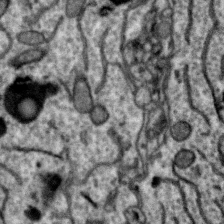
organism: Zebra finch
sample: Brain